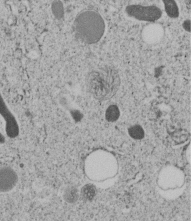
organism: C. elegans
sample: C. elegans embryo early stage